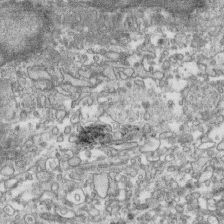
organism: Human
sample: CRL-1474